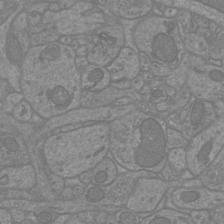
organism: Mouse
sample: Cortical neurons